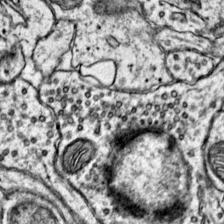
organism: Mouse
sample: Primary visual cortex